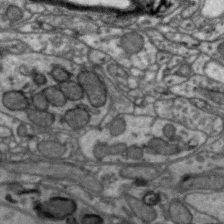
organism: Zebra finch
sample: Brain